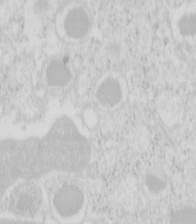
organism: Mouse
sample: Pancreas